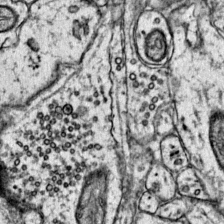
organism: Mouse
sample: Primary visual cortex